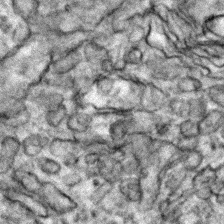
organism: Zebrafish